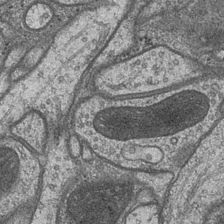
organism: Drosophila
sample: Optic medulla